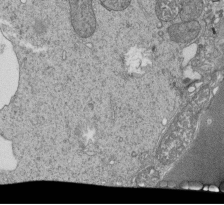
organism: Tetrahymena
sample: Cilia in tetrahymena